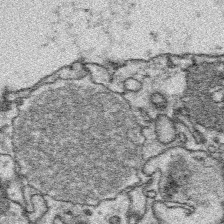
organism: Platynereis dumerilii